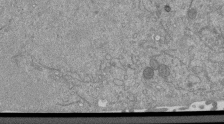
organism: Mouse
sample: ED-1 cell nuclei; centrioles